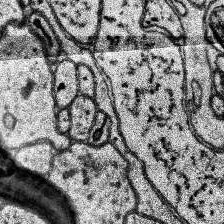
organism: Human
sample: Temporal Lobe